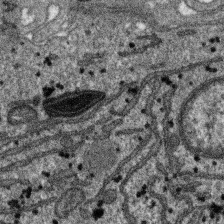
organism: Human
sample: Lung epithelial cells infected with SARS-CoV-2